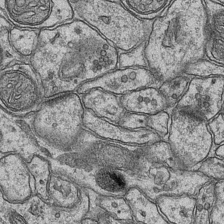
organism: Mouse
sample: CA1 Hippocampus